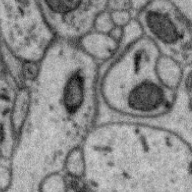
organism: Zebra finch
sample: Brain